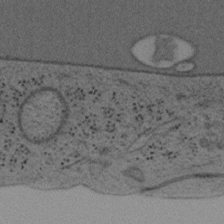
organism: Human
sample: HeLa cells